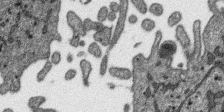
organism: Human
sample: Lung epithelial cells infected with SARS-CoV-2